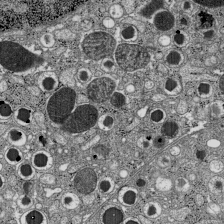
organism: C57BL Mouse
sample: Pancreatic islet